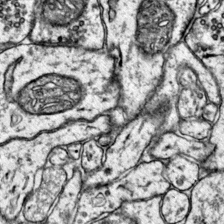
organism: Mouse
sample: Primary visual cortex